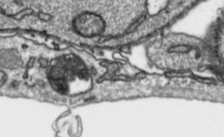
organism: Toxoplasma gondii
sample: Parasites in a vacuole inside a host cell